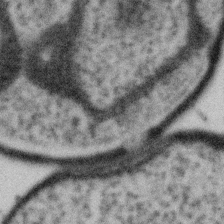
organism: Gemmata obscuriglobus